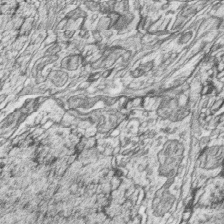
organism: Zebrafish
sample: synaptic ribbons in rod cells and cone cells